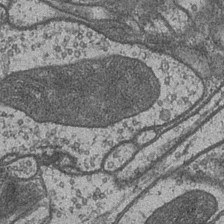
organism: Drosophila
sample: Optic medulla